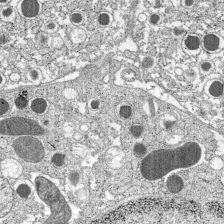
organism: C57BL Mouse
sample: Pancreatic islet